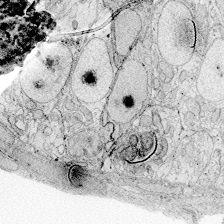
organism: Zebrafish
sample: Whole-Brain